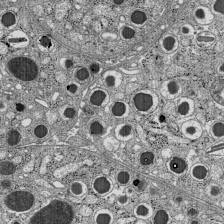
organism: C57BL Mouse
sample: Pancreatic islet